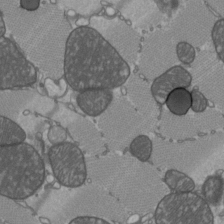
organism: C57BL Mouse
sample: Heart